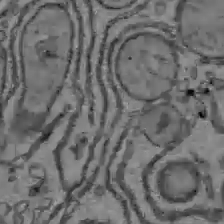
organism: C57BL Mouse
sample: Liver